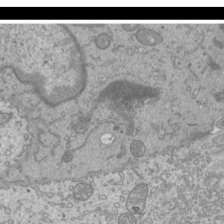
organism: Mouse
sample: Cilia; mouse epididymis